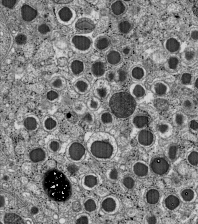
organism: C57BL Mouse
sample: Pancreatic islet